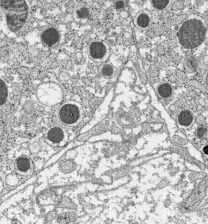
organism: C57BL Mouse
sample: Pancreatic islet